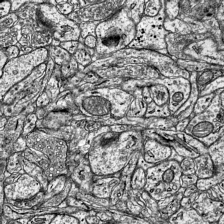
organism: Mouse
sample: Visual Cortex